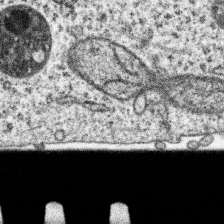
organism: Human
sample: HeLa cells